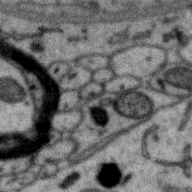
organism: Zebra finch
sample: Brain